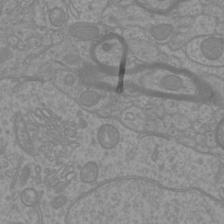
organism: Mouse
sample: Cortical neurons